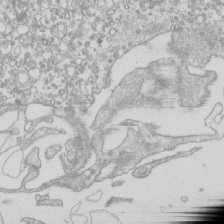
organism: Mouse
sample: Macrophages